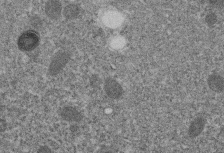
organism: C. elegans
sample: C. elegans embryo early stage